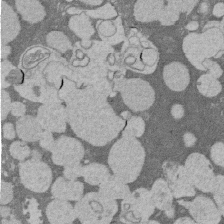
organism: Rat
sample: Salivary granule